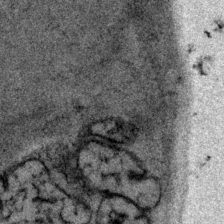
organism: P. pacificus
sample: Pharynx